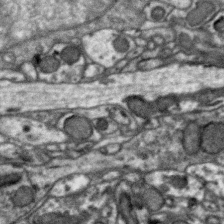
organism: Zebra finch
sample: Brain